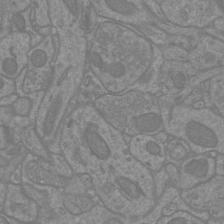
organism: Mouse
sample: Cortical neurons